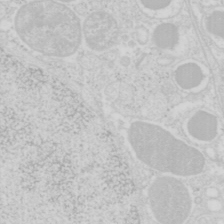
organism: Mouse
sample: Pancreas